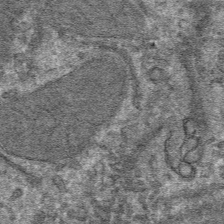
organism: Mouse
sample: Mouse hepatocytes